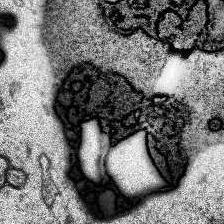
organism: Human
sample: Temporal Lobe